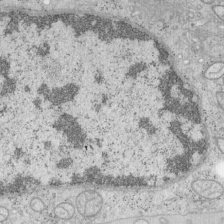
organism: Mouse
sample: OT-I killer T cells with ID8 ovarian cancer cells